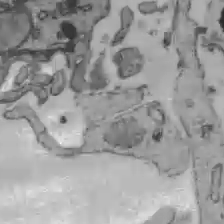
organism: C57BL Mouse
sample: Liver